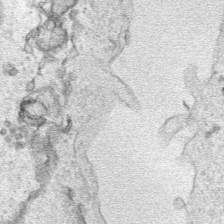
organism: Human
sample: Mitochondria in HCT116 cells